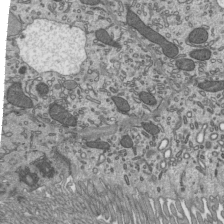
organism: Mouse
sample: Mouse epididymis efferent ductule cilia